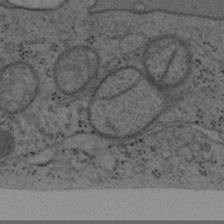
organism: Human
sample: HeLa cells